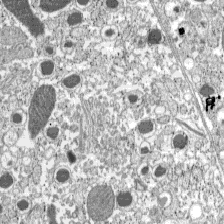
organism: C57BL Mouse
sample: Pancreatic islet